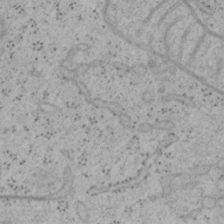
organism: Human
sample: HeLa cells